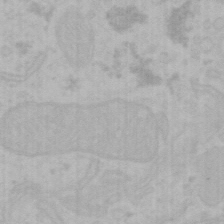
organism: Mouse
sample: Choroid plexus